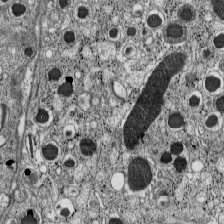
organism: C57BL Mouse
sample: Pancreatic islet